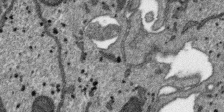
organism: Human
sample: Lung epithelial cells, uninfected (mock) control